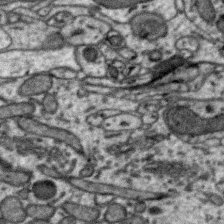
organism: Zebra finch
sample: Brain